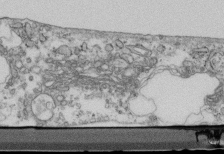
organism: Mouse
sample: Cilia; retinal pigment epithelium